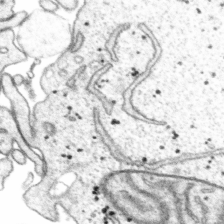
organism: Human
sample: HeLa cells